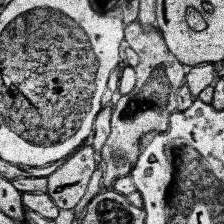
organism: Human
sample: Temporal Lobe